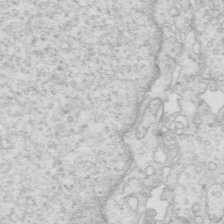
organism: Mouse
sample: Multiciliated cells